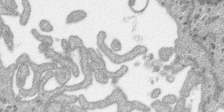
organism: Human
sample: Lung epithelial cells infected with SARS-CoV-2